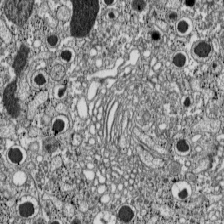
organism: C57BL Mouse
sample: Pancreatic islet